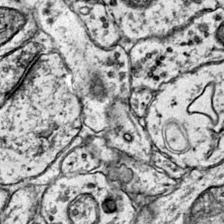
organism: Mouse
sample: Primary visual cortex